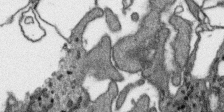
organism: Human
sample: Lung epithelial cells, uninfected (mock) control